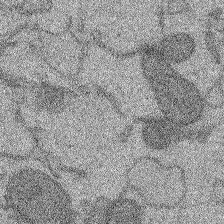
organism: Human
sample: HeLa cells